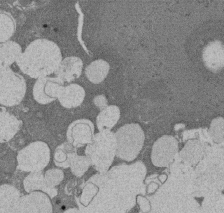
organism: Rat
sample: Salivary granule